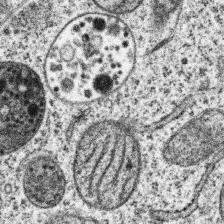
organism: Human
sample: HeLa cells